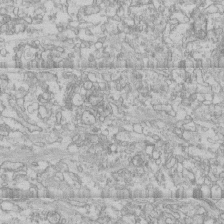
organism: Human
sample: CRL-1474